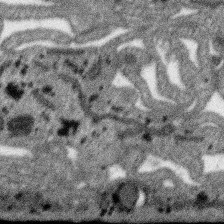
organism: Human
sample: Lung epithelial cells infected with SARS-CoV-2